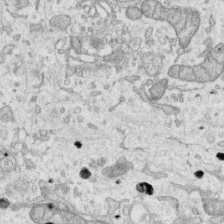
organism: Human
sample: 1205lu cells